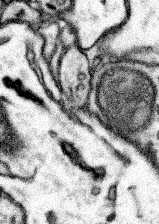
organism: Mouse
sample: Somatosensory cortex neuropil